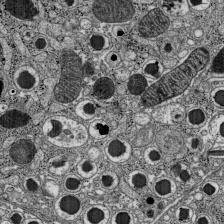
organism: C57BL Mouse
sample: Pancreatic islet